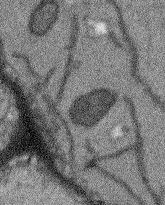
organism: Arabidopsis thaliana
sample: Root tip